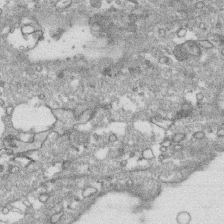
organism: Human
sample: CRL-1474